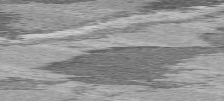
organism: C57BL Mouse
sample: Heart